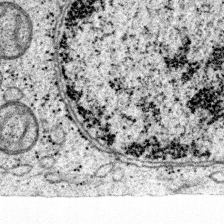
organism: Human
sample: HeLa cells